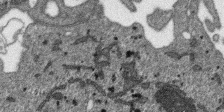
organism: Human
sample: Lung epithelial cells infected with SARS-CoV-2